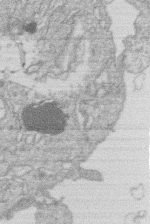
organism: Human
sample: Macrophage cells